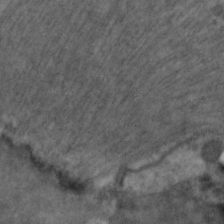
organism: C. elegans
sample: Pharynx